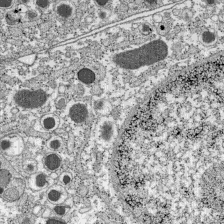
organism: C57BL Mouse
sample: Pancreatic islet